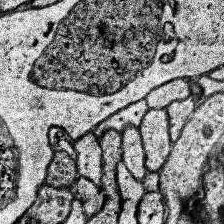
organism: Human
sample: Temporal Lobe